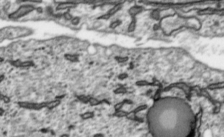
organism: Toxoplasma gondii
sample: Parasites in a vacuole inside a host cell